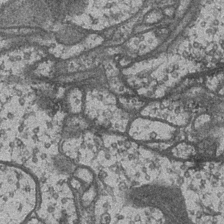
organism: Drosophila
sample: Optic medulla